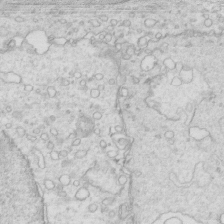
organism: Mouse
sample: Multiciliated cells